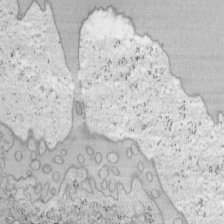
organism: Mouse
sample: OT-I killer T cells with ID8 ovarian cancer cells